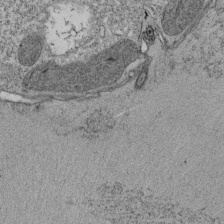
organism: Tetrahymena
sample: Cilia in tetrahymena